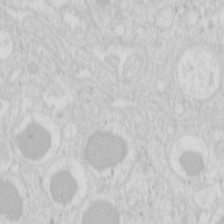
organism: Mouse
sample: Pancreas